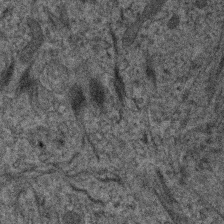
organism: Human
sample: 1205lu cells